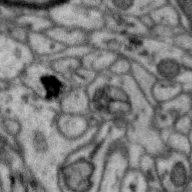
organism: Zebra finch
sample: Brain